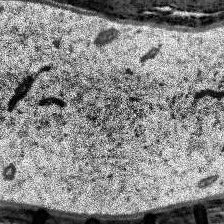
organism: Human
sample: Temporal Lobe